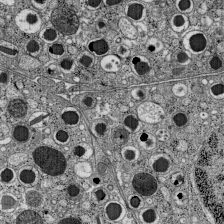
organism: C57BL Mouse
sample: Pancreatic islet